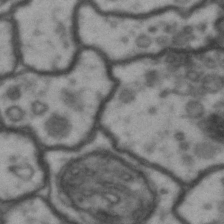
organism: Drosophila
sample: Brain